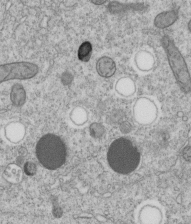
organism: C. elegans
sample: C. elegans embryo early stage